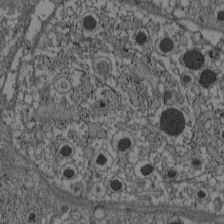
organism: C57BL Mouse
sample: Pancreatic islet